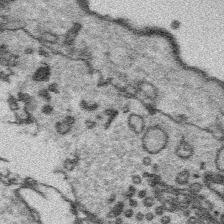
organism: Platynereis dumerilii